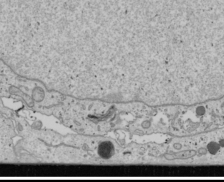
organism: Human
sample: Mitochondria in U2OS cells